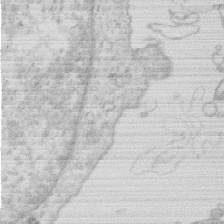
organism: Human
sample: Macrophage cells